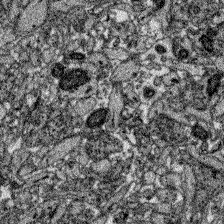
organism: Zebrafish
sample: Larval olfactory bulb